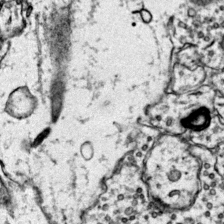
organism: Mouse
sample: Primary visual cortex